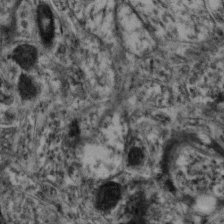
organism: Mouse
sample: Neocortex